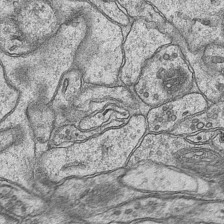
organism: Mouse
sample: CA1 Hippocampus